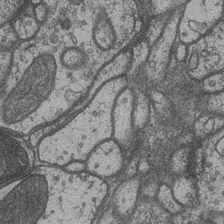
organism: Drosophila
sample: Optic medulla